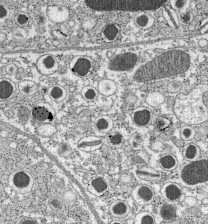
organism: C57BL Mouse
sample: Pancreatic islet